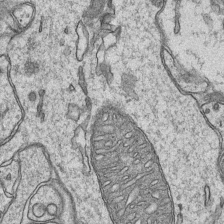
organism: Mouse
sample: CA1 Hippocampus